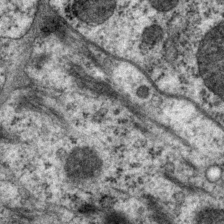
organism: P. pacificus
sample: Pharynx